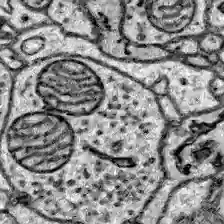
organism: Zebrafish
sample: Brain